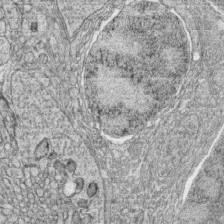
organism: Zebrafish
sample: synaptic ribbons in rod cells and cone cells